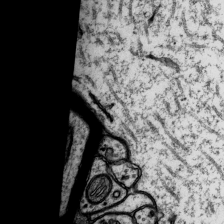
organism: Rat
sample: Hippocampus